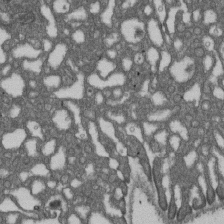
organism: Drosophila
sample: Nephrocyte